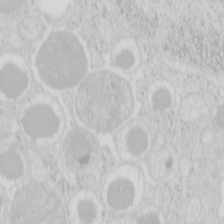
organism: Mouse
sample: Pancreas